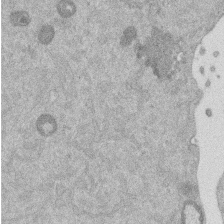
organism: Mouse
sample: Dividing mouse embryo 1 cell stage